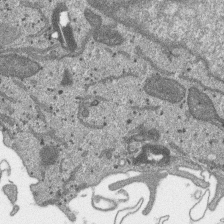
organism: Human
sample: Lung epithelial cells infected with SARS-CoV-2